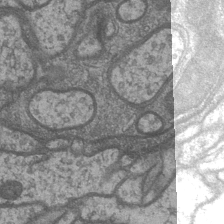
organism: Drosophila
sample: Optic medulla